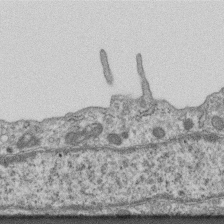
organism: Mouse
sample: Centriole in ependymal cells